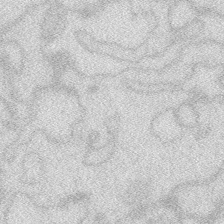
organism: Zebrafish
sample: Macrophage